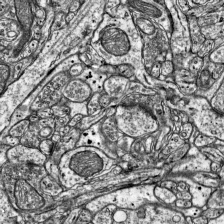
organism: Mouse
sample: Visual Cortex